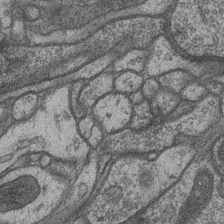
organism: Drosophila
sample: Optic medulla